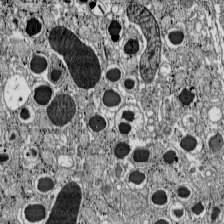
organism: C57BL Mouse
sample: Pancreatic islet